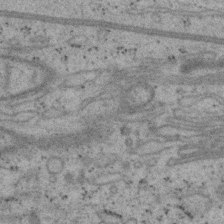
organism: Human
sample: HeLa cells